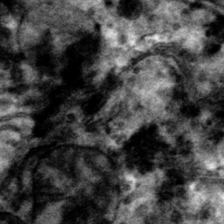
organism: Mouse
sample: Mouse hepatocytes